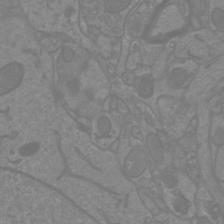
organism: Mouse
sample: Cortical neurons